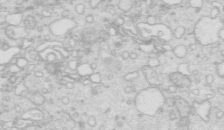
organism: Mouse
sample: Multiciliated cells